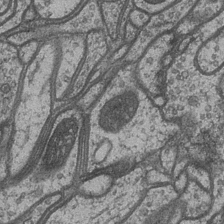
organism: Drosophila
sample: Optic medulla